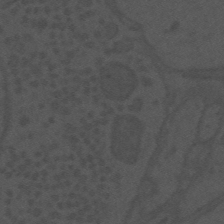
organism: Mouse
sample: Suprachiasmatic nucleus